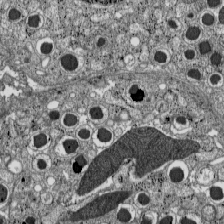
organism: C57BL Mouse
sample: Pancreatic islet